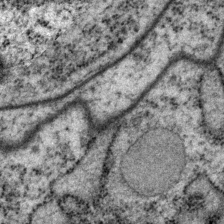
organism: P. pacificus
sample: Pharynx